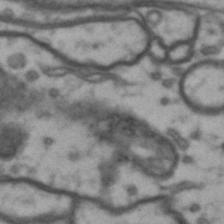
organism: Drosophila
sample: Brain